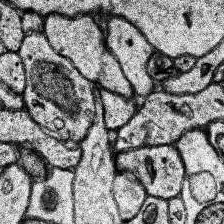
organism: Human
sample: Temporal Lobe